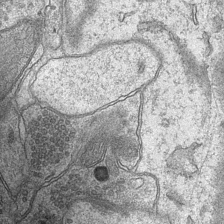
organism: Mouse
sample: CA1 Hippocampus